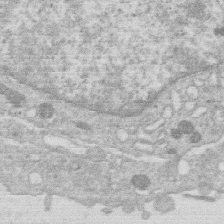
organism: Human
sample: Macrophage cells